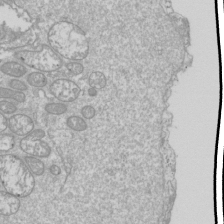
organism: Drosophila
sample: Cell division; meiosis; drosophila spermatocytes